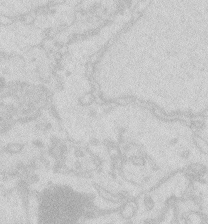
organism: Zebrafish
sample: Macrophage